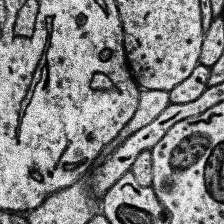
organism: Human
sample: Temporal Lobe